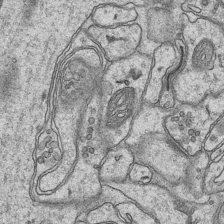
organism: Mouse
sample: CA1 Hippocampus